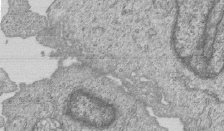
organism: Human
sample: MDA-MB-231 cells